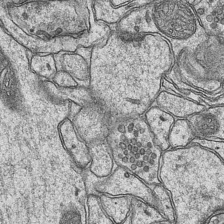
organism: Mouse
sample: CA1 Hippocampus